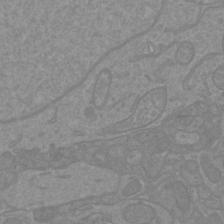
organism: Mouse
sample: Cortical neurons